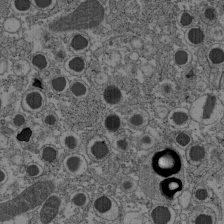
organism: C57BL Mouse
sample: Pancreatic islet